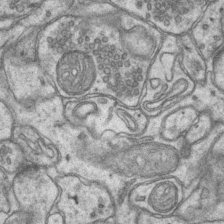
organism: Mouse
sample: CA1 Hippocampus